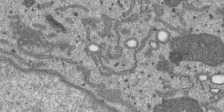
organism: Human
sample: Lung epithelial cells infected with SARS-CoV-2